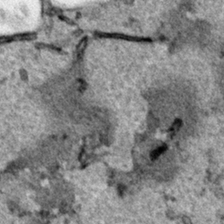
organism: Human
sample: Mitochondria in HCT116 cells